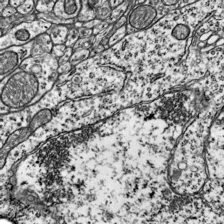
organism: Mouse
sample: Visual Cortex